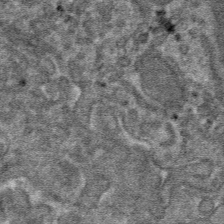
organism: Mouse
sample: Mouse hepatocytes